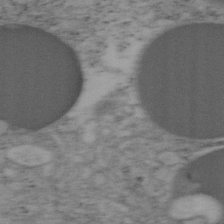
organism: Mouse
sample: OT-I killer T cells with ID8 ovarian cancer cells